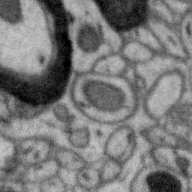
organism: Zebra finch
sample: Brain